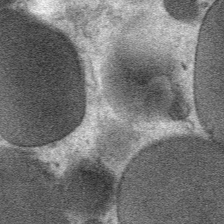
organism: Mouse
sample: Mouse Salivary gland